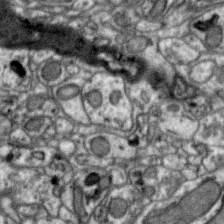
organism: Zebra finch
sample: Brain